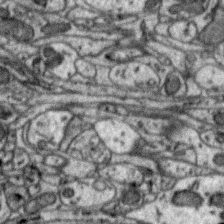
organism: Zebra finch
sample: Brain